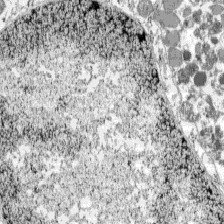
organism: C57BL Mouse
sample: Pancreatic islet